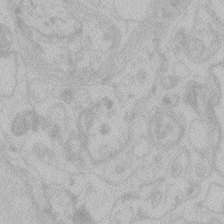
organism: Zebrafish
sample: Macrophage infected with Toxoplasma gondii